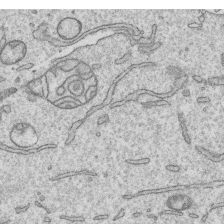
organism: Human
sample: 1205lu cells